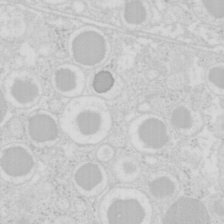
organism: Mouse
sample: Pancreas